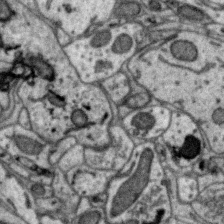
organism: Zebra finch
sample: Brain